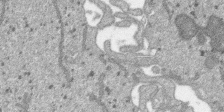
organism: Human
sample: Lung epithelial cells infected with SARS-CoV-2